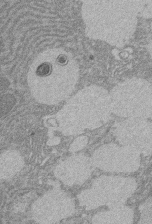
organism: Rat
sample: Salivary granule